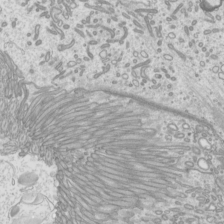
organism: Mouse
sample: Cilia; mouse epididymis